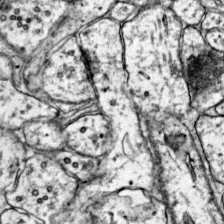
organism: Mouse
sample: Primary visual cortex